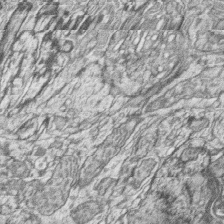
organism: Zebrafish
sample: synaptic ribbons in rod cells and cone cells